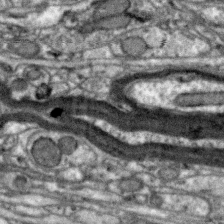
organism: Zebra finch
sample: Brain